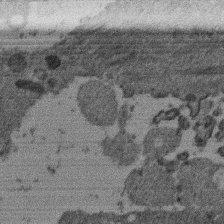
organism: Mouse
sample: Dividing mouse embryo 1 cell stage